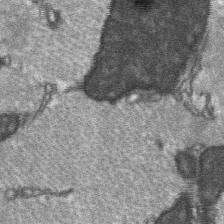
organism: C57BL Mouse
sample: Soleus